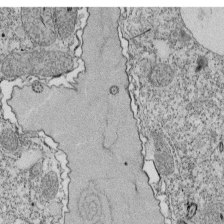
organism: Tetrahymena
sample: Cilia in tetrahymena